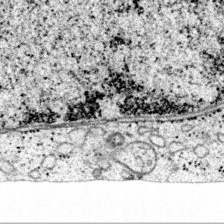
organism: Human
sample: HeLa cells